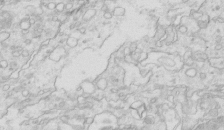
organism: Mouse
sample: Multiciliated cells